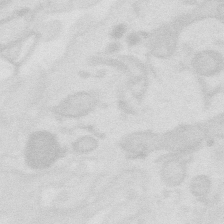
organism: Human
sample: HeLa cells